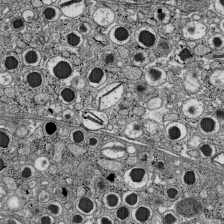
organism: C57BL Mouse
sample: Pancreatic islet